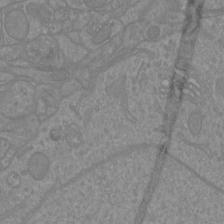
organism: Mouse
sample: Cortical neurons